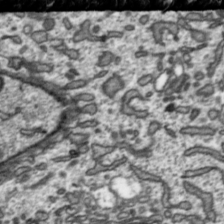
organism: Toxoplasma gondii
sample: Parasites in a vacuole inside a host cell